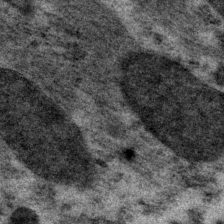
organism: P. pacificus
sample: Pharynx